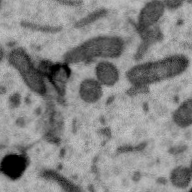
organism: Zebra finch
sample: Brain